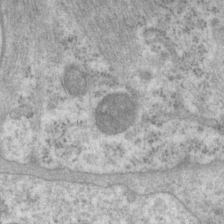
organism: P. pacificus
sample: Pharynx